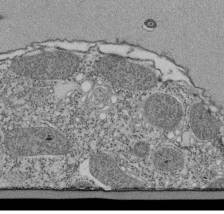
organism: Tetrahymena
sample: Cilia in tetrahymena